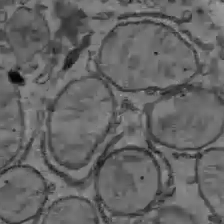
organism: C57BL Mouse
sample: Liver